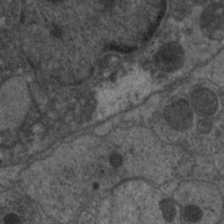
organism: C. elegans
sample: Pharynx